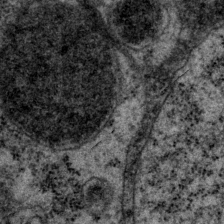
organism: P. pacificus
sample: Pharynx